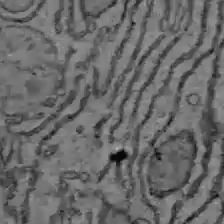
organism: C57BL Mouse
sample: Liver